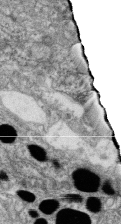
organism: Zebrafish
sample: Cilia; retinal pigment epithelium